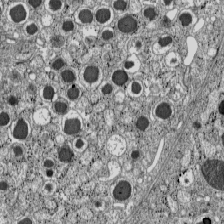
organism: C57BL Mouse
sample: Pancreatic islet